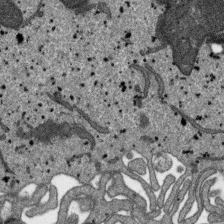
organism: Human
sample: Lung epithelial cells, uninfected (mock) control